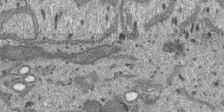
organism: Human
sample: Lung epithelial cells infected with SARS-CoV-2